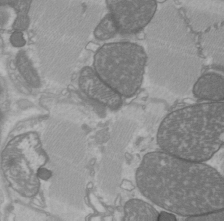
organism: C57BL Mouse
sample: Heart